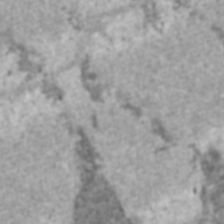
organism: C57BL Mouse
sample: Heart